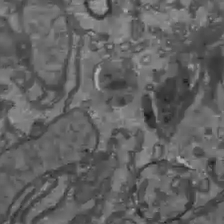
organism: C57BL Mouse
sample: Liver